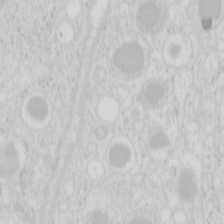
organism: Mouse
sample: Pancreas